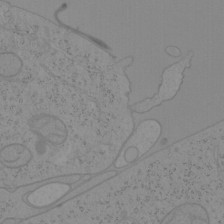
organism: Human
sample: HeLa cells